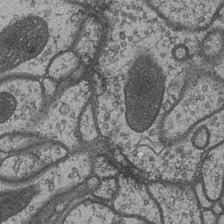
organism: Drosophila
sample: Optic medulla